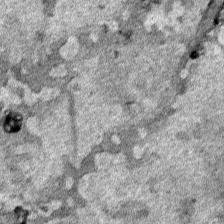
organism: Human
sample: Mitochondria in HCT116 cells